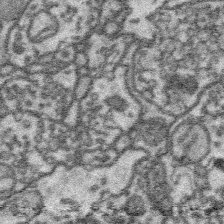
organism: Platynereis dumerilii